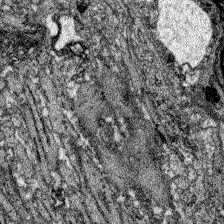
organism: Zebrafish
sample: Larval olfactory bulb